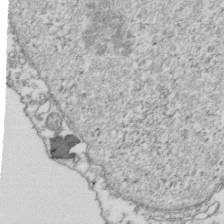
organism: Human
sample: Activated Jurkat CD4+ T cells